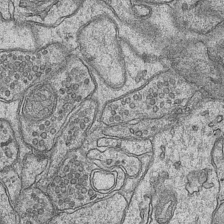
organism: Mouse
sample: CA1 Hippocampus